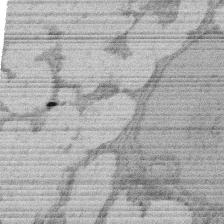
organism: Rat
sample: Salivary granule